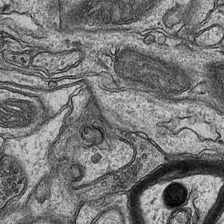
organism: Mouse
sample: CA1 Hippocampus